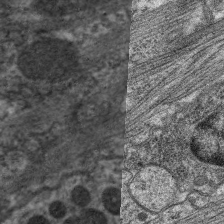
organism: C. elegans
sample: Pharynx